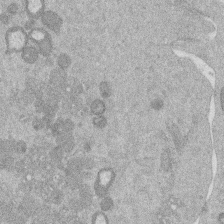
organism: Mouse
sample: Dividing mouse embryo 1 cell stage